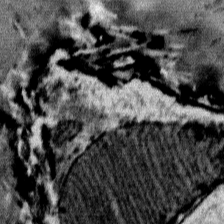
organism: Mouse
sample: Mouse Salivary gland